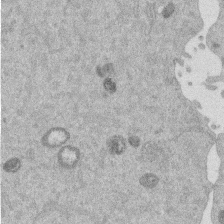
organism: Mouse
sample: Dividing mouse embryo 1 cell stage